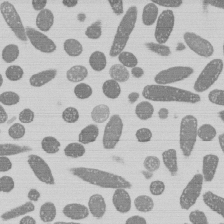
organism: E. coli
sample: Bacterial nucleoid